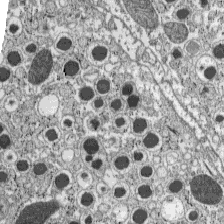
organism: C57BL Mouse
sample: Pancreatic islet